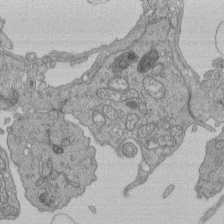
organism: Human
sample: Retinal organoid Rod and Cone cells